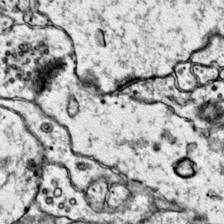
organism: Mouse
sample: Primary visual cortex